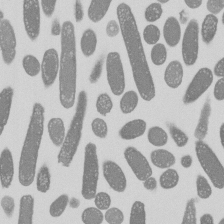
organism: E. coli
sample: Bacterial nucleoid